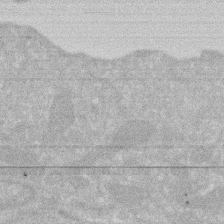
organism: Human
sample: HIV infected U937 cells